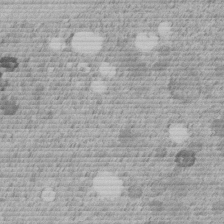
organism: C. elegans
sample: C. elegans embryo early stage